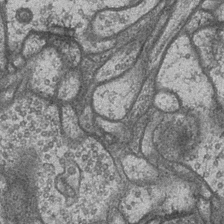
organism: Drosophila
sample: Optic medulla